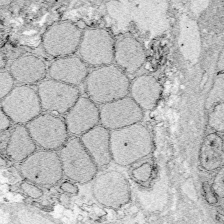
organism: Zebrafish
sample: Whole-Brain